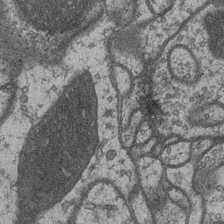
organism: Drosophila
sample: Optic medulla